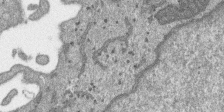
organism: Human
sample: Lung epithelial cells infected with SARS-CoV-2